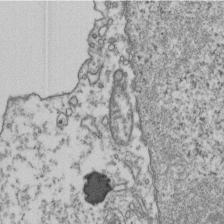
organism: Human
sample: Activated Jurkat CD4+ T cells